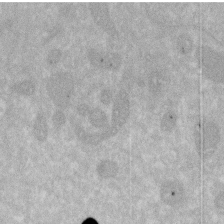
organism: Human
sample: HIV infected U937 cells